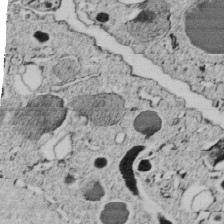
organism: C. elegans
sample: C. elegans embryo early stage